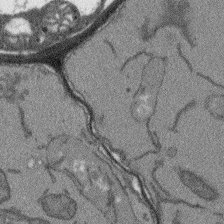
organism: Arabidopsis thaliana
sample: Root tip